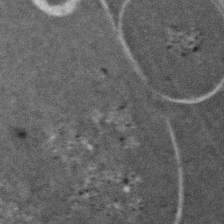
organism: Zebrafish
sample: Zebrafish embryo